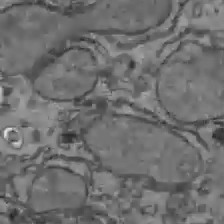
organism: C57BL Mouse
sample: Liver